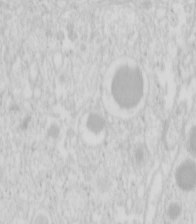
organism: Mouse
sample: Pancreas